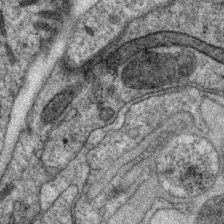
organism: P. pacificus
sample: Pharynx